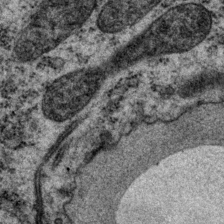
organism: P. pacificus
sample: Pharynx